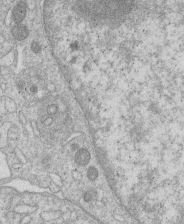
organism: Human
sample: Macrophage cells